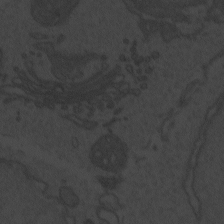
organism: Zebrafish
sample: Macrophage infected with Toxoplasma gondii